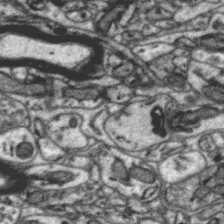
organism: Zebra finch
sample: Brain